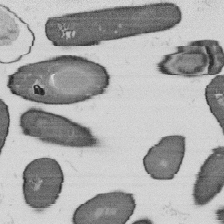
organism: B. subtilis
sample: Bacterial spore